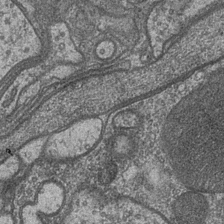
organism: Drosophila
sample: Optic medulla